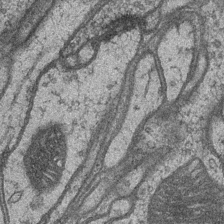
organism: Drosophila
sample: Optic medulla